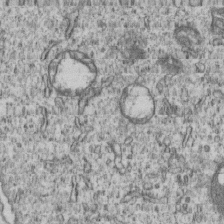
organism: Human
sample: MDA-MB-231 cells